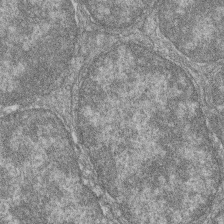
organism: Zebrafish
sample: Cilia; retinal pigment epithelium